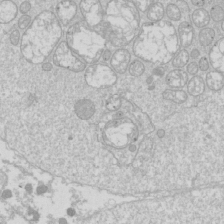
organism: Drosophila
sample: Cell division; meiosis; drosophila spermatocytes